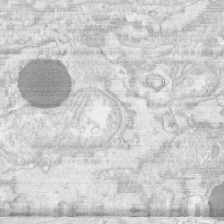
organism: Human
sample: CRL-1474